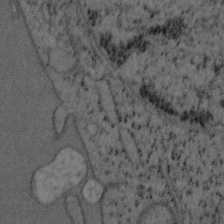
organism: Human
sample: HeLa cells